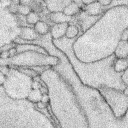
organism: Rabbit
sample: Retina